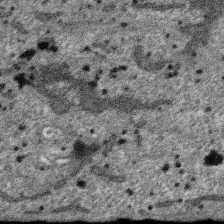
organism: Human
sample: Lung epithelial cells infected with SARS-CoV-2